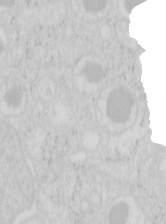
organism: Mouse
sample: Pancreas